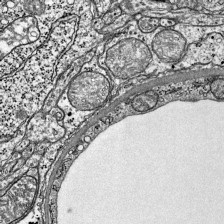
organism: Mouse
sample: Visual Cortex